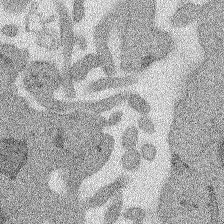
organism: Human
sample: HeLa cells